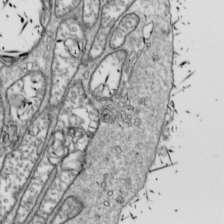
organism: Drosophila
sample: Cell division; meiosis; drosophila spermatocytes